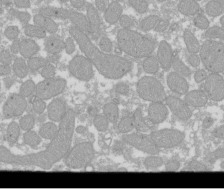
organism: Xenopus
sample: Cilia; centrioles in frog embryo cells